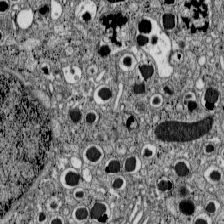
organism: C57BL Mouse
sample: Pancreatic islet